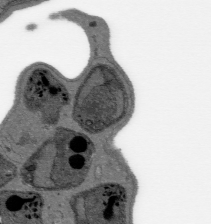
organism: Plasmodium falciparum